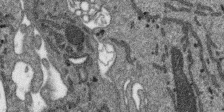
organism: Human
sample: Lung epithelial cells infected with SARS-CoV-2